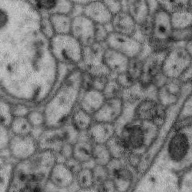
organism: Zebra finch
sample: Brain